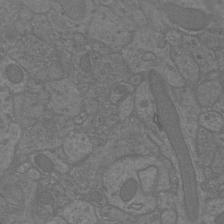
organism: Mouse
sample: Cortical neurons